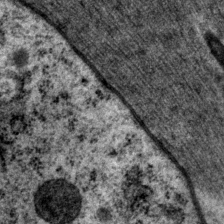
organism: P. pacificus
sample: Pharynx